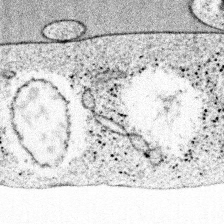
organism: Human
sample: HeLa cells